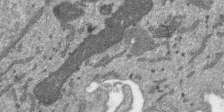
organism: Human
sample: Lung epithelial cells infected with SARS-CoV-2